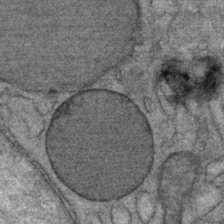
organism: Mouse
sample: Mouse Salivary gland